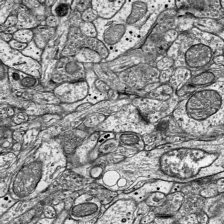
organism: Mouse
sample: Visual Cortex